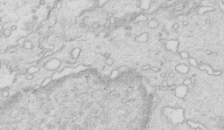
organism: Mouse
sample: Multiciliated cells